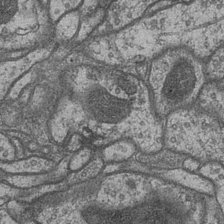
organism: Drosophila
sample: Optic medulla